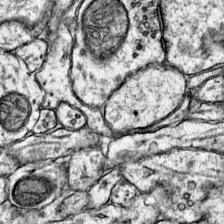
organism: Mouse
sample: Primary visual cortex